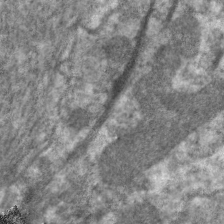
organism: C. elegans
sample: Pharynx